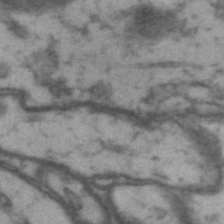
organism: Drosophila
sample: Brain